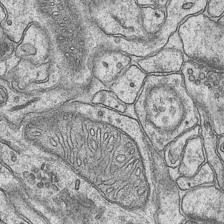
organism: Mouse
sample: CA1 Hippocampus